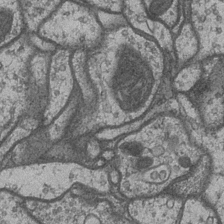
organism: Drosophila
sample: Optic medulla